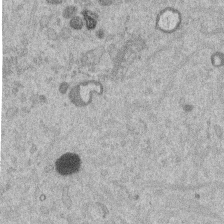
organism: Mouse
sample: Dividing mouse embryo 1 cell stage